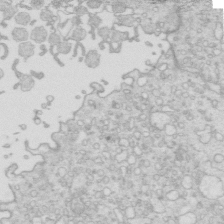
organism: Mouse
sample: Multiciliated cells